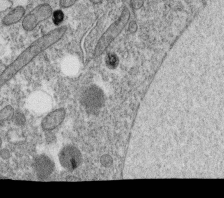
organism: C. elegans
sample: C. elegans oocyte; sperm cells